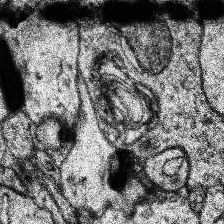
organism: Human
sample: Temporal Lobe